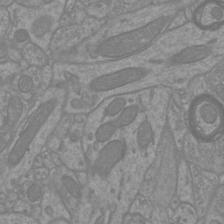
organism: Mouse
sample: Cortical neurons